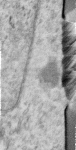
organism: Human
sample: Centriole in RPE cells